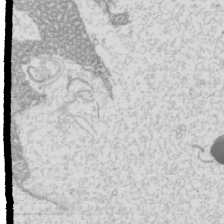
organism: Mouse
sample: Cilia; mouse epididymis